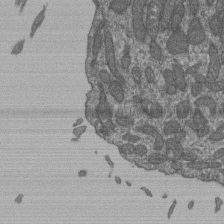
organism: Human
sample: Retinal organoid Rod and Cone cells